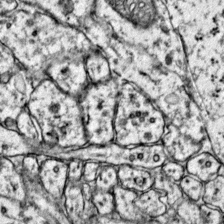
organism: Mouse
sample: Primary visual cortex